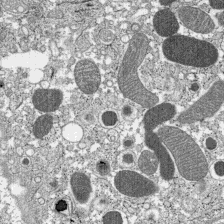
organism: C57BL Mouse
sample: Pancreatic islet